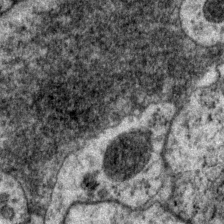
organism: P. pacificus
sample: Pharynx